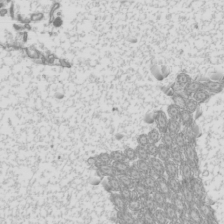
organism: Mouse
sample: Cilia; mouse epididymis